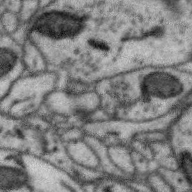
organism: Zebra finch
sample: Brain